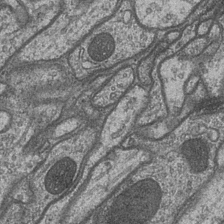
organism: Drosophila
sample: Optic medulla